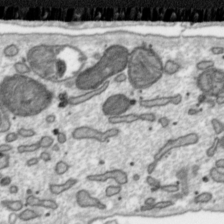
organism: Toxoplasma gondii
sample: Parasites in a vacuole inside a host cell